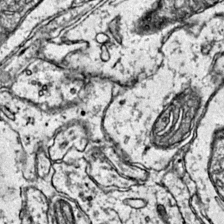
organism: Mouse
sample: Primary visual cortex